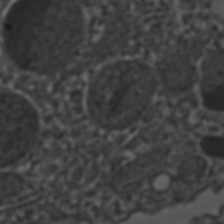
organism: C. elegans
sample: C. elegans embryo